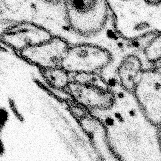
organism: Mouse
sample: Somatosensory cortex neuropil